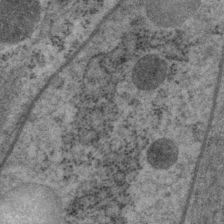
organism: P. pacificus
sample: Pharynx